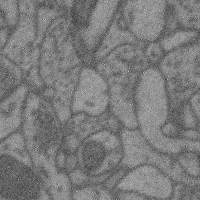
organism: Mouse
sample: Cerebral cortex